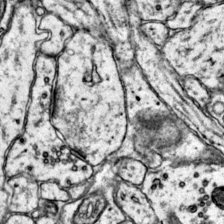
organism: Mouse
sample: Primary visual cortex